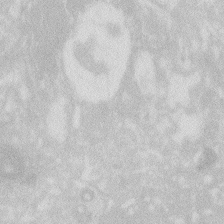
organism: Zebrafish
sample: Macrophage